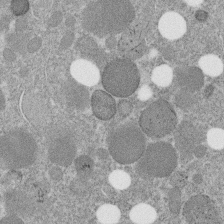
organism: C. elegans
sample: C. elegans embryo early stage